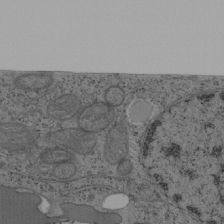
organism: Human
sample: HeLa cells